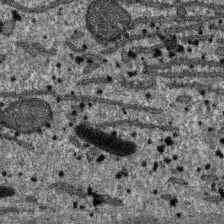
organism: Human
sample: Lung epithelial cells infected with SARS-CoV-2